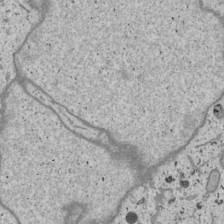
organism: Human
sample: Mitochondria in U2OS cells